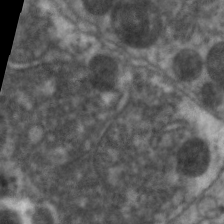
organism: C. elegans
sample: Pharynx